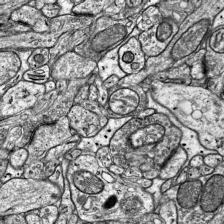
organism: Mouse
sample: Visual Cortex